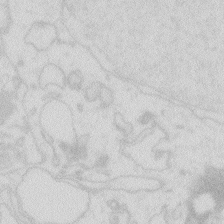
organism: Zebrafish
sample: Macrophage